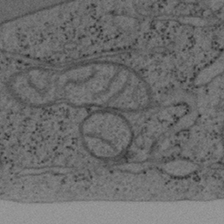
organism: Human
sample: HeLa cells